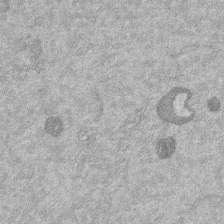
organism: Mouse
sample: Dividing mouse embryo 1 cell stage